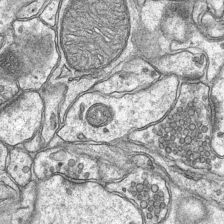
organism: Mouse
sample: CA1 Hippocampus